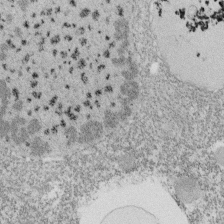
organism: Tetrahymena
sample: Cilia in tetrahymena